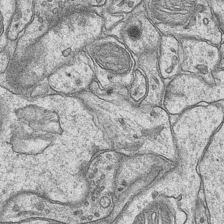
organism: Mouse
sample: CA1 Hippocampus